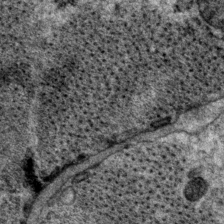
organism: P. pacificus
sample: Pharynx